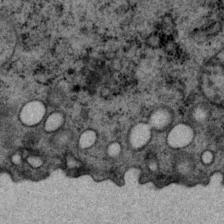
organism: P. pacificus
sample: Pharynx